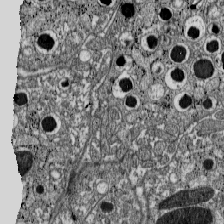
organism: C57BL Mouse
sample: Pancreatic islet